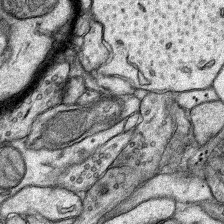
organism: Rat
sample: Hippocampus